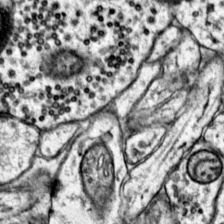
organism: Mouse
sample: Primary visual cortex